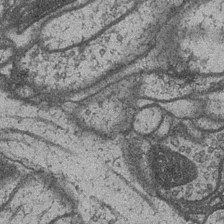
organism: Drosophila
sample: Optic medulla